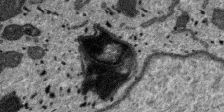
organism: Human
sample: Lung epithelial cells, uninfected (mock) control